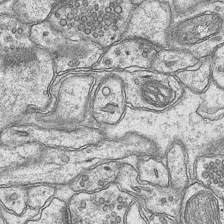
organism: Mouse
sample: CA1 Hippocampus